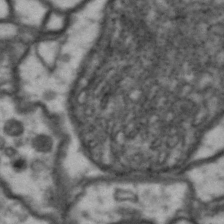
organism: Drosophila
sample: Brain